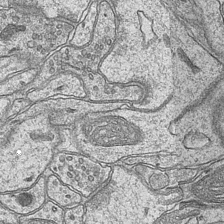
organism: Mouse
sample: CA1 Hippocampus